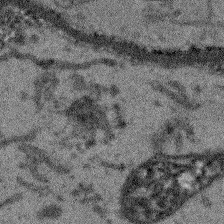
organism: Arabidopsis thaliana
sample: Root tip